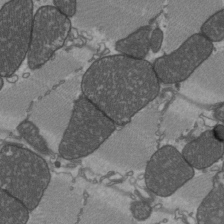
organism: C57BL Mouse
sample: Heart